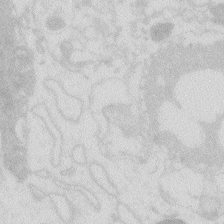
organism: Zebrafish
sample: Macrophage